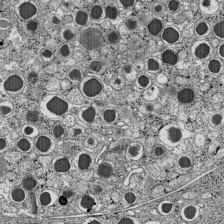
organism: C57BL Mouse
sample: Pancreatic islet